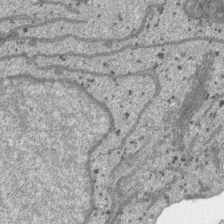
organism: Human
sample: Lung epithelial cells infected with SARS-CoV-2